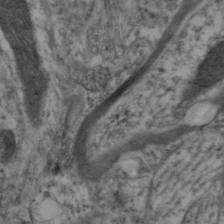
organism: Mouse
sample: Neocortex